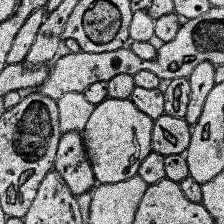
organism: Human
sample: Temporal Lobe